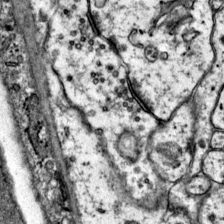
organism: Mouse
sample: Primary visual cortex